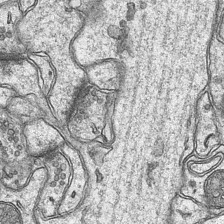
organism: Mouse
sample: CA1 Hippocampus